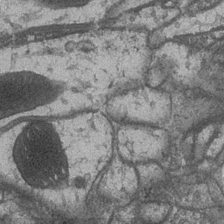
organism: Drosophila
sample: Optic medulla